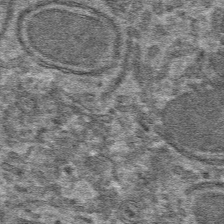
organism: Mouse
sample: Mouse hepatocytes